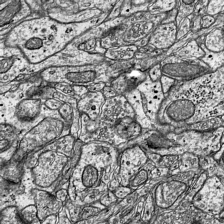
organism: Mouse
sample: Visual Cortex